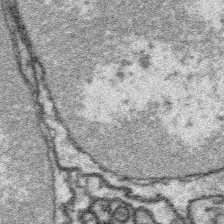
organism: Platynereis dumerilii